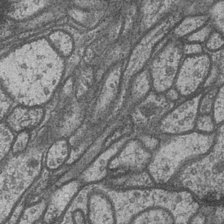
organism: Drosophila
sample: Optic medulla